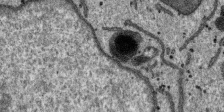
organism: Human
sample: Lung epithelial cells, uninfected (mock) control